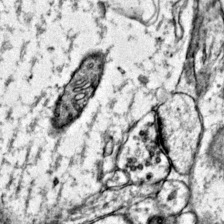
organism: Mouse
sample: Primary visual cortex